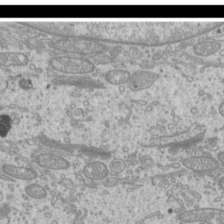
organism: Mouse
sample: Cilia; mouse epididymis